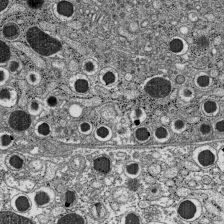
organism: C57BL Mouse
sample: Pancreatic islet